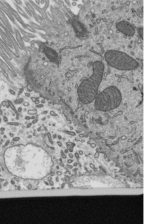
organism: Mouse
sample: Mouse epididymis efferent ductule cilia